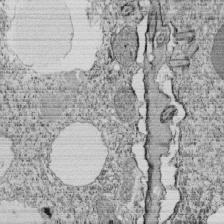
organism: Tetrahymena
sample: Cilia in tetrahymena